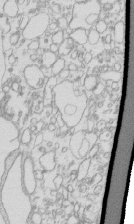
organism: Mouse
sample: Macrophages